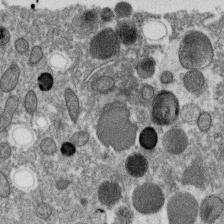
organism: C. elegans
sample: C. elegans oocyte; sperm cells